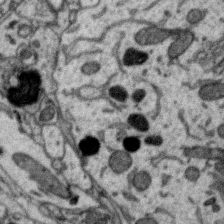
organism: Zebra finch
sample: Brain